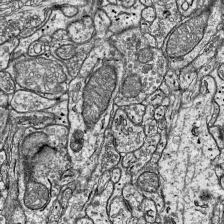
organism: Mouse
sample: Visual Cortex